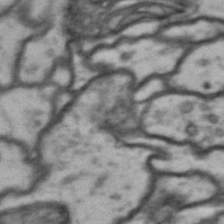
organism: Drosophila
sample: Brain